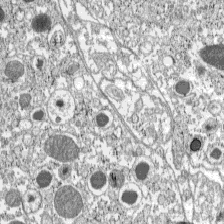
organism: C57BL Mouse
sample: Pancreatic islet